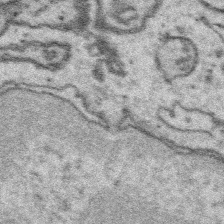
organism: Platynereis dumerilii